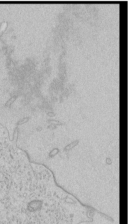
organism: Human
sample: Mitochondria in HCT116 cells